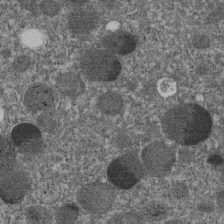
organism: C. elegans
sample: C. elegans embryo early stage